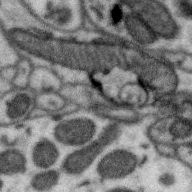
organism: Zebra finch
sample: Brain